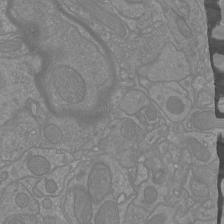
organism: Mouse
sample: Cortical neurons